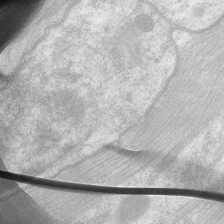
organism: C. elegans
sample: Pharynx